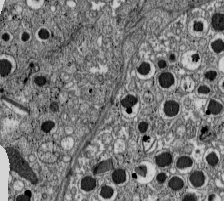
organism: C57BL Mouse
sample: Pancreatic islet